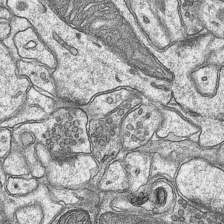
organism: Mouse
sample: CA1 Hippocampus